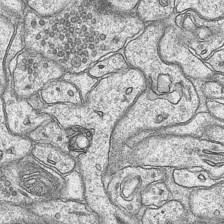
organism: Mouse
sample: CA1 Hippocampus